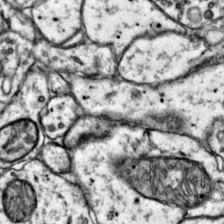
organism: Mouse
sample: Primary visual cortex